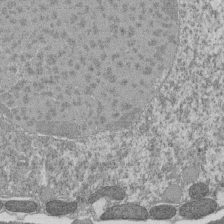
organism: Tetrahymena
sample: Cilia in tetrahymena